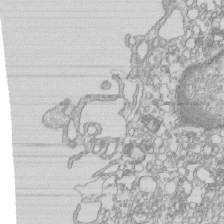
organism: Mouse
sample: Macrophages